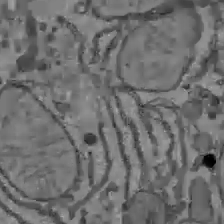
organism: C57BL Mouse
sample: Liver